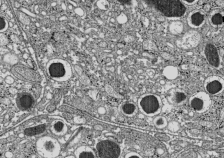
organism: C57BL Mouse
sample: Pancreatic islet